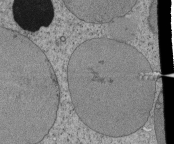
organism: Tetrahymena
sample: Cilia in tetrahymena